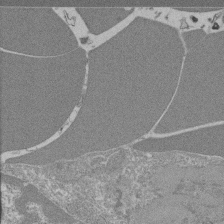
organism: Mouse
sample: Glomerulus